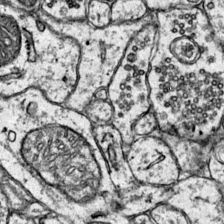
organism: Mouse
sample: Primary visual cortex